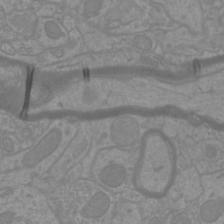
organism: Mouse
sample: Cortical neurons